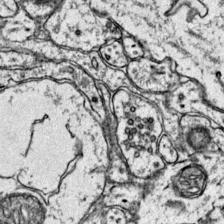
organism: Mouse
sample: Primary visual cortex